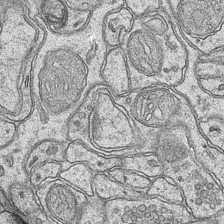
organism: Mouse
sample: CA1 Hippocampus